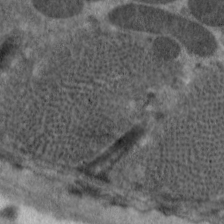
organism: C. elegans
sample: Pharynx